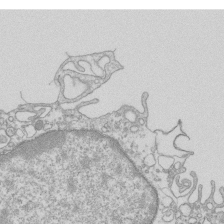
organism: Mouse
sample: Macrophages